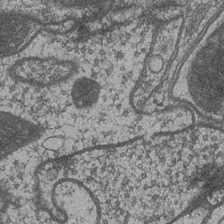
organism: Drosophila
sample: Optic medulla